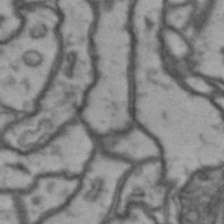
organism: Drosophila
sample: Brain